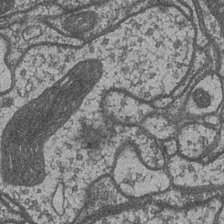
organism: Drosophila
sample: Optic medulla